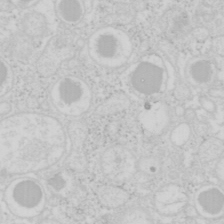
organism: Mouse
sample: Pancreas